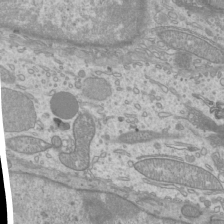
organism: Mouse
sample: Cilia; mouse epididymis